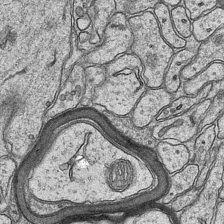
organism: Mouse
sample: CA1 Hippocampus